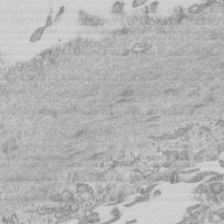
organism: Mouse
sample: Centriole in ependymal cells